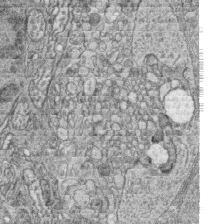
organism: Zebrafish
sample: synaptic ribbons in rod cells and cone cells